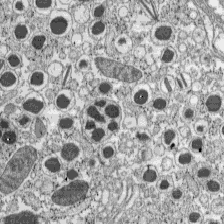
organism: C57BL Mouse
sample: Pancreatic islet